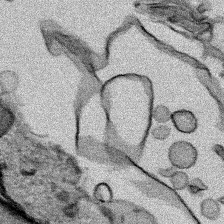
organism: Human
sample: Mitochondria in HCT116 cells